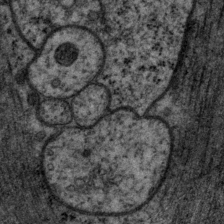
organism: P. pacificus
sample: Pharynx